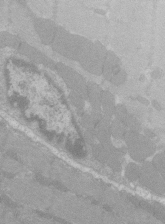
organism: C57BL Mouse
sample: Tibialis anterior muscle cell